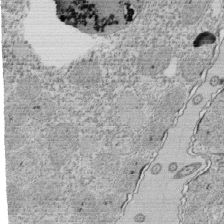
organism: Tetrahymena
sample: Cilia in tetrahymena